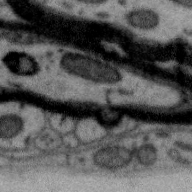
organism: Zebra finch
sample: Brain